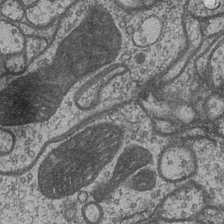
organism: Drosophila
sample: Optic medulla